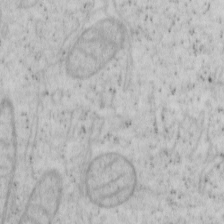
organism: Human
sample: HeLa cells